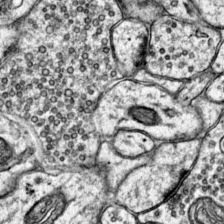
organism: Mouse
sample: Primary visual cortex